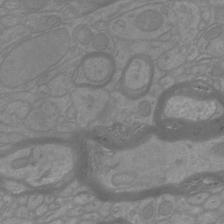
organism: Mouse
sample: Cortical neurons